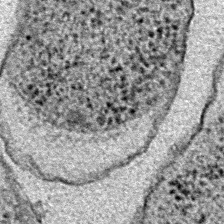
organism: E. coli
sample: E. Coli Bacteria